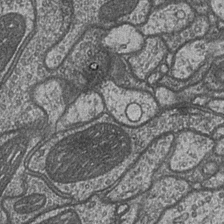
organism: Drosophila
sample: Optic medulla